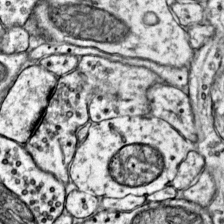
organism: Mouse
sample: Primary visual cortex